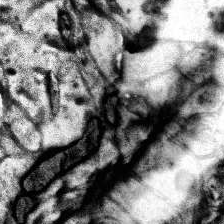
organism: Human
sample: Temporal Lobe